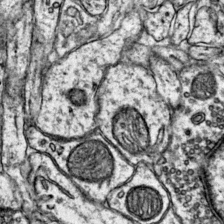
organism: Mouse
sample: Primary visual cortex